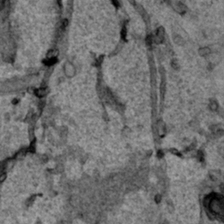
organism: Human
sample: Mitochondria in HCT116 cells